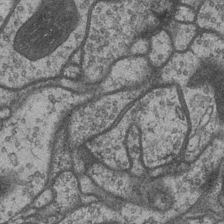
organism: Drosophila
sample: Optic medulla